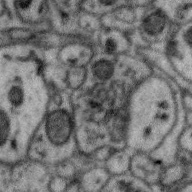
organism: Zebra finch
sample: Brain